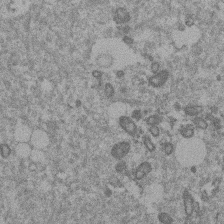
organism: Mouse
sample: Dividing mouse embryo 1 cell stage